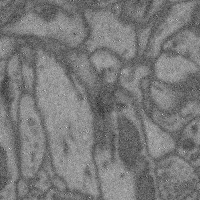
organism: Mouse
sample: Cerebral cortex